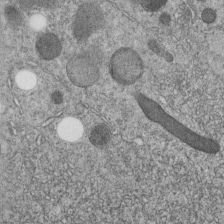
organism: C. elegans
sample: C. elegans embryo early stage